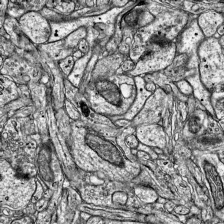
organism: Mouse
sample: Visual Cortex